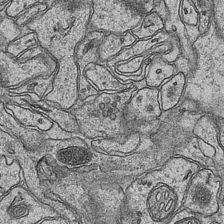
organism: Mouse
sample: CA1 Hippocampus